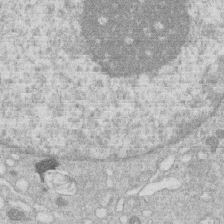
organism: Human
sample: Macrophage cells